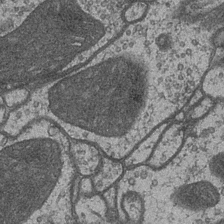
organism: Drosophila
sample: Optic medulla